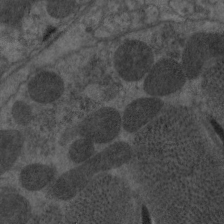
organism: C. elegans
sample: Pharynx